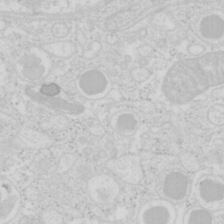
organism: Mouse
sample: Pancreas